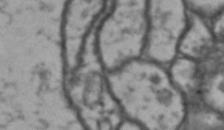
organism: Drosophila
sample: Brain